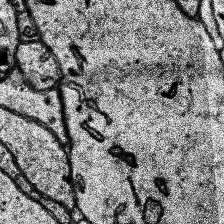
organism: Human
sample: Temporal Lobe